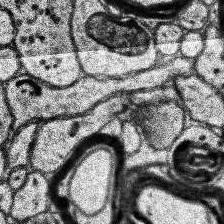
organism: Human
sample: Temporal Lobe